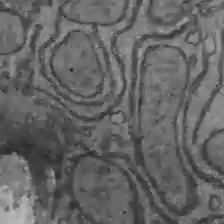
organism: C57BL Mouse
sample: Liver